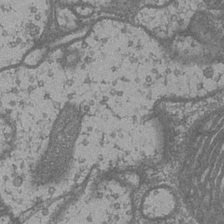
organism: Drosophila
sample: Optic medulla